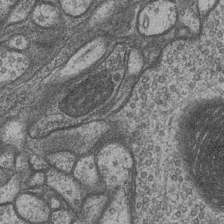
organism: Drosophila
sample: Optic medulla